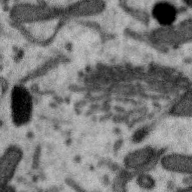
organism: Zebra finch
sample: Brain